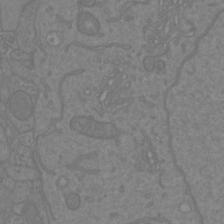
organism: Mouse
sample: Cortical neurons